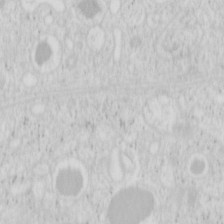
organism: Mouse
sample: Pancreas